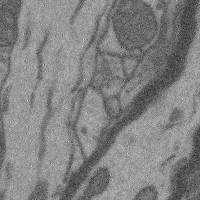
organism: Mouse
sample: Cerebral cortex